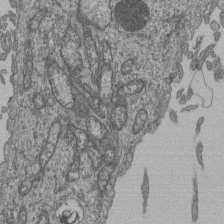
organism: Human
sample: Retinal organoid Rod and Cone cells